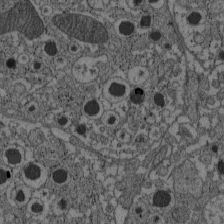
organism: C57BL Mouse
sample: Pancreatic islet